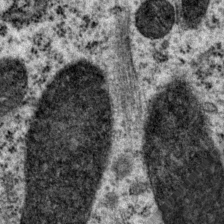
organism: P. pacificus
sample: Pharynx